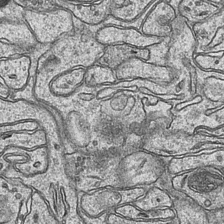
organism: Mouse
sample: CA1 Hippocampus